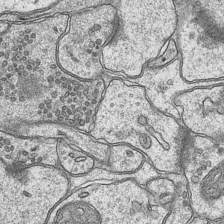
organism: Mouse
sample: CA1 Hippocampus